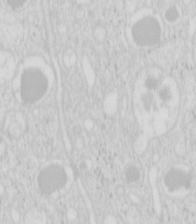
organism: Mouse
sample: Pancreas